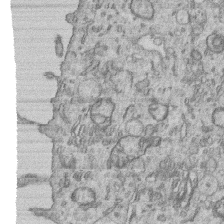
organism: Human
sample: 1205lu cells